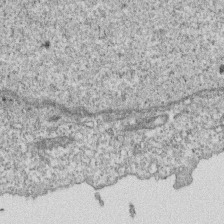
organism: Human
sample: HeLa cell HIV synapse